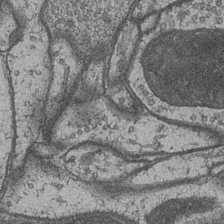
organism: Drosophila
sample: Optic medulla